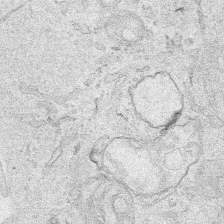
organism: Human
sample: Mitochondria in HCT116 cells